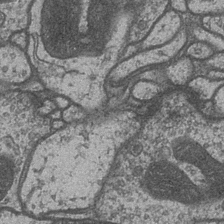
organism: Drosophila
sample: Optic medulla